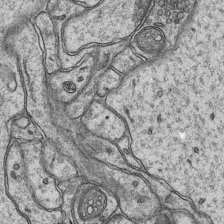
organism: Mouse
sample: CA1 Hippocampus